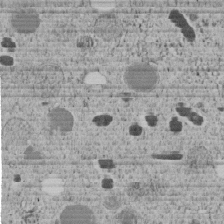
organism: C. elegans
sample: C. elegans embryo early stage